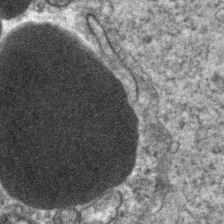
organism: Human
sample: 1205lu cells